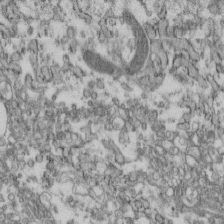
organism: Mouse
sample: Cilia; retinal pigment epithelium